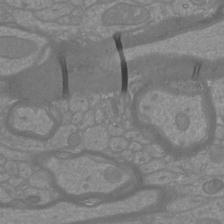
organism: Mouse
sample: Cortical neurons